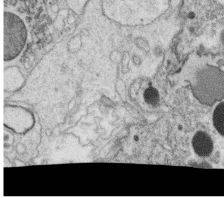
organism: C. elegans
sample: C. elegans oocyte; sperm cells